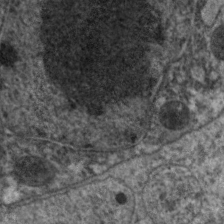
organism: C. elegans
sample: Pharynx